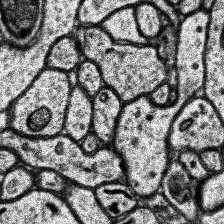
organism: Human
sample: Temporal Lobe